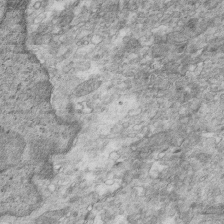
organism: Mouse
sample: Multiciliated cells